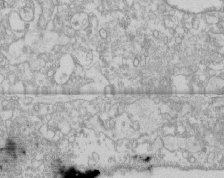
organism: Human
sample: CRL-1474